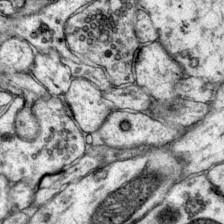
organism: Mouse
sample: Primary visual cortex